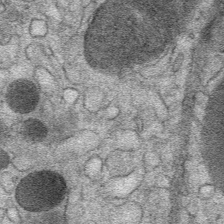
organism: Mouse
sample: Mouse Salivary gland